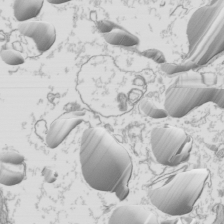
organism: Mouse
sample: Cilia; mouse epididymis